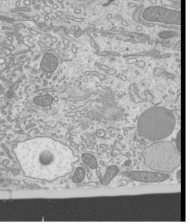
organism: Mouse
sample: Cilia; mouse epididymis